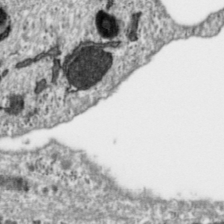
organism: Toxoplasma gondii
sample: Parasites in a vacuole inside a host cell